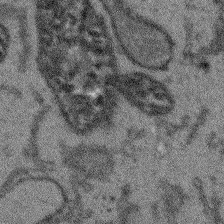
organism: Arabidopsis thaliana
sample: Root tip